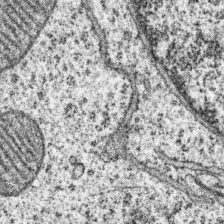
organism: Human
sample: HeLa cells